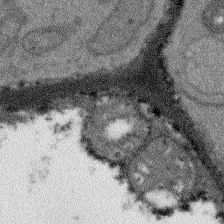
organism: Arabidopsis thaliana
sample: Root tip